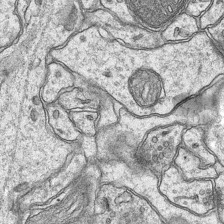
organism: Mouse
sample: CA1 Hippocampus